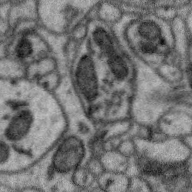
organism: Zebra finch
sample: Brain